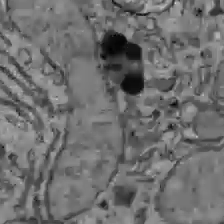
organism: C57BL Mouse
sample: Liver